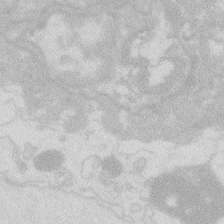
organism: Zebrafish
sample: Macrophage